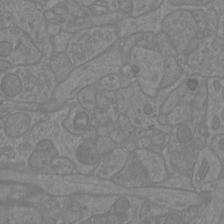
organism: Mouse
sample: Cortical neurons